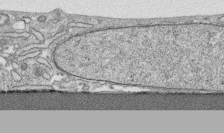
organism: Human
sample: CRL-1474